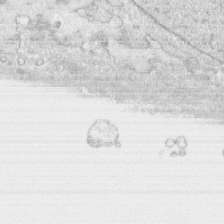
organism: Human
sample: CRL-1474